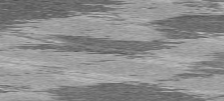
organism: C57BL Mouse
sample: Heart